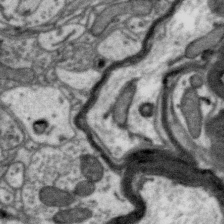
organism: Zebra finch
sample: Brain